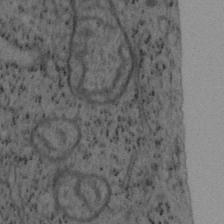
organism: Human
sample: HeLa cells